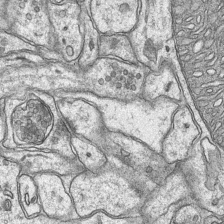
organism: Mouse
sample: CA1 Hippocampus